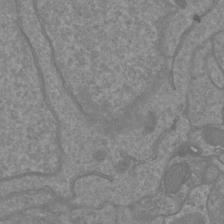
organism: Mouse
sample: Cortical neurons